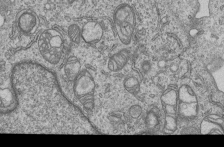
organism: Human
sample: MDA-MB-231 cells